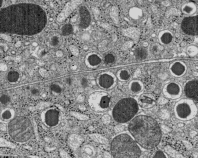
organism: C57BL Mouse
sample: Pancreatic islet